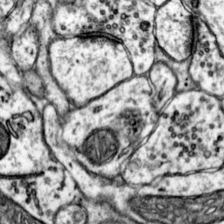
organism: Mouse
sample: Primary visual cortex